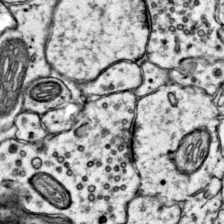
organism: Mouse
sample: Primary visual cortex